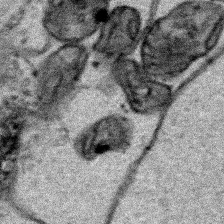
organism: Human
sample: Mitochondria in HCT116 cells